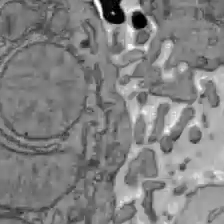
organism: C57BL Mouse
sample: Liver